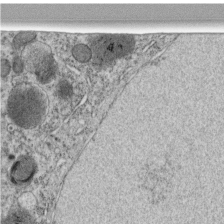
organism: C. elegans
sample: C. elegans embryo early stage